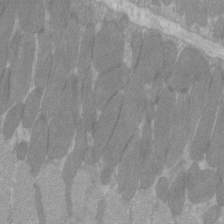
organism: C57BL Mouse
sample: Tibialis anterior muscle cell